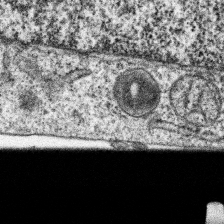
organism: Human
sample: HeLa cells